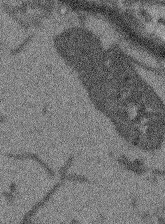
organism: Arabidopsis thaliana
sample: Root tip